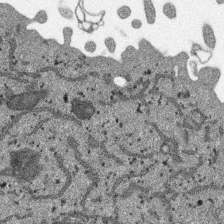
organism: Human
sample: Lung epithelial cells infected with SARS-CoV-2